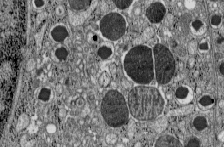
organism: C57BL Mouse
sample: Pancreatic islet